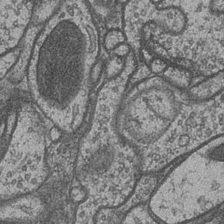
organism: Drosophila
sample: Optic medulla